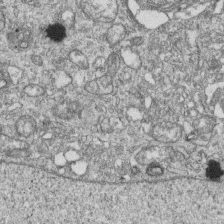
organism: Human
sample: HeLa cell HIV synapse